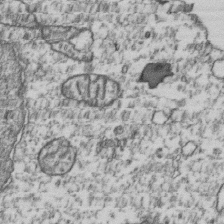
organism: Human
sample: Activated Jurkat CD4+ T cells